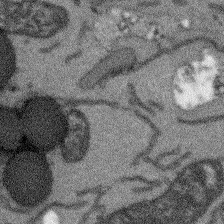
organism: Arabidopsis thaliana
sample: Root tip